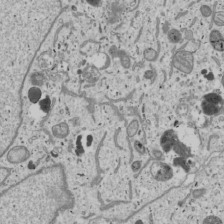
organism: Human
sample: Mitochondria in U2OS cells